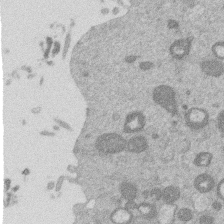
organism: Mouse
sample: Dividing mouse embryo 1 cell stage